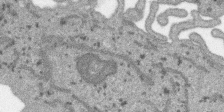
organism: Human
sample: Lung epithelial cells infected with SARS-CoV-2